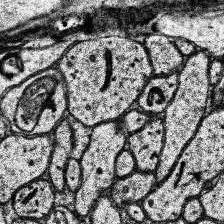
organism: Human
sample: Temporal Lobe